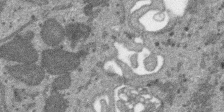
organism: Human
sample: Lung epithelial cells infected with SARS-CoV-2